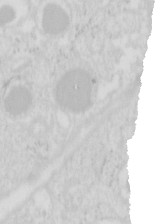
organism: Mouse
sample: Pancreas